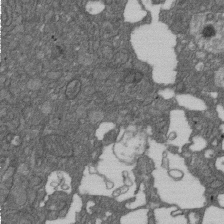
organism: Drosophila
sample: Nephrocyte